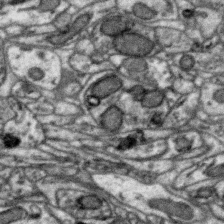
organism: Zebra finch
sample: Brain